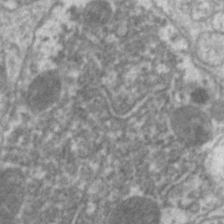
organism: C. elegans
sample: Pharynx